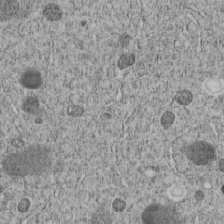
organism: C. elegans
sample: C. elegans embryo early stage